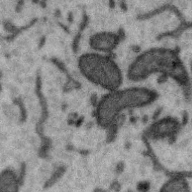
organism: Zebra finch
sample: Brain